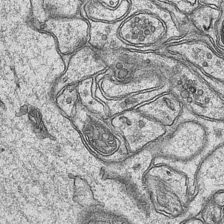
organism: Mouse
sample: CA1 Hippocampus